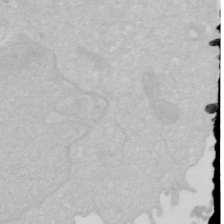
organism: Human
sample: HIV infected U937 cells